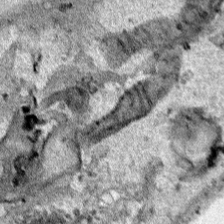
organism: Human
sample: Mitochondria in HCT116 cells